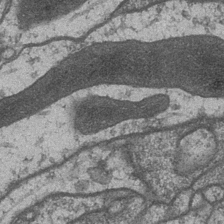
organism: Drosophila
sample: Optic medulla